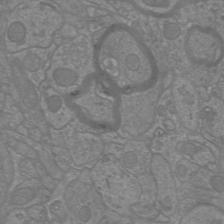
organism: Mouse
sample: Cortical neurons